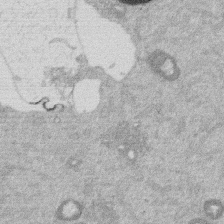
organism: Mouse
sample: Dividing mouse embryo 1 cell stage